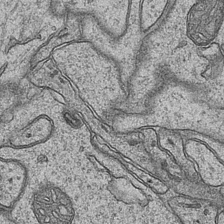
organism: Mouse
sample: CA1 Hippocampus